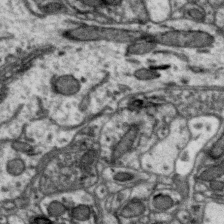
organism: Zebra finch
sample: Brain